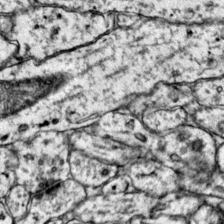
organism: Mouse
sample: Primary visual cortex